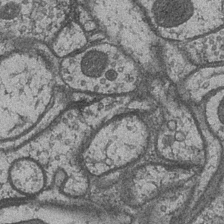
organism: Drosophila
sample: Optic medulla